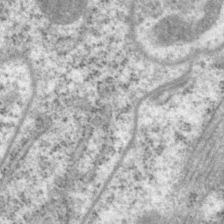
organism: P. pacificus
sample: Pharynx